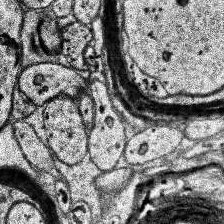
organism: Human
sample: Temporal Lobe